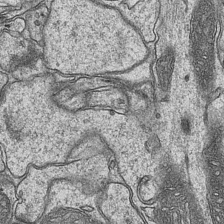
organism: Mouse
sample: CA1 Hippocampus